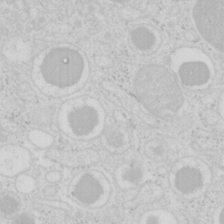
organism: Mouse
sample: Pancreas